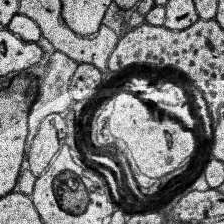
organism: Human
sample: Temporal Lobe